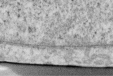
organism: Human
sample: Centriole in RPE cells